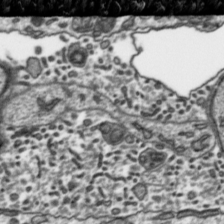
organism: Toxoplasma gondii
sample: Parasites in a vacuole inside a host cell